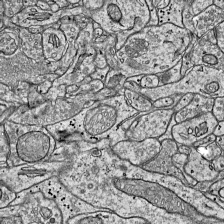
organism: Mouse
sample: Visual Cortex